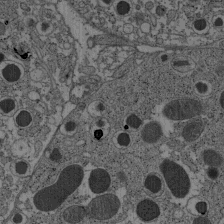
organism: C57BL Mouse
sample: Pancreatic islet